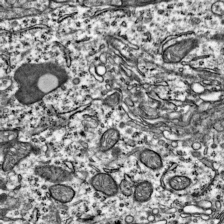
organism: Mouse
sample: Visual Cortex